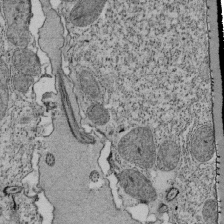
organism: Tetrahymena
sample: Cilia in tetrahymena